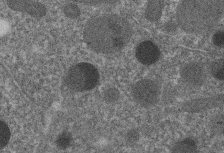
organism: C. elegans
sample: C. elegans embryo early stage